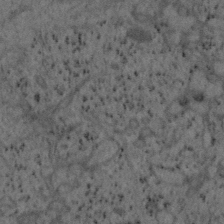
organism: Human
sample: HeLa cells